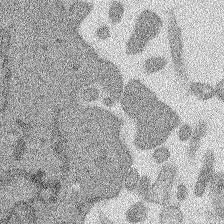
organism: Human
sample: HeLa cells